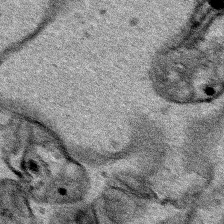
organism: Human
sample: Mitochondria in HCT116 cells